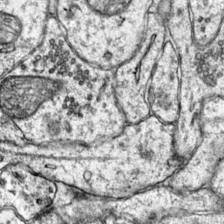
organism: Mouse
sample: Primary visual cortex